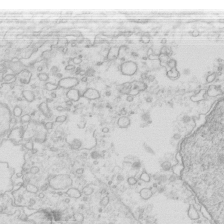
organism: Mouse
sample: Multiciliated cells